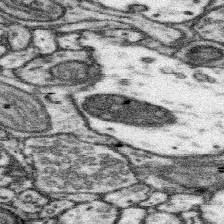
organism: Mouse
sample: Somatosensory cortex neuropil